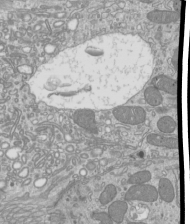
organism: Mouse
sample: Cilia; mouse epididymis